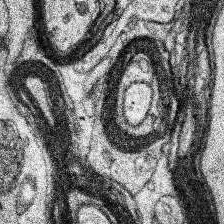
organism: Human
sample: Temporal Lobe